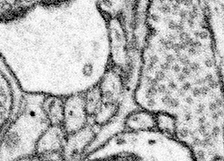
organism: Mouse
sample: Somatosensory cortex neuropil